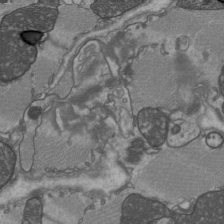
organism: C57BL Mouse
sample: Heart